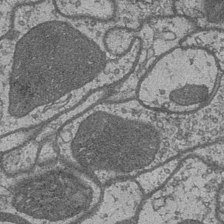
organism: Drosophila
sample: Optic medulla